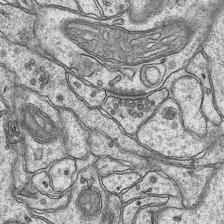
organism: Mouse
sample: CA1 Hippocampus